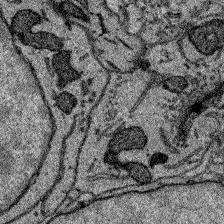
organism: Zebrafish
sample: Larval olfactory bulb